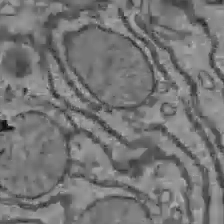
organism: C57BL Mouse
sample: Liver